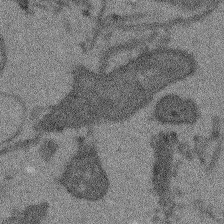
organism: Arabidopsis thaliana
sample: Root tip